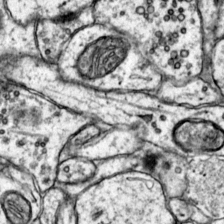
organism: Mouse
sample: Primary visual cortex